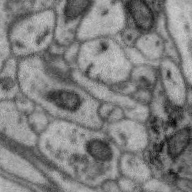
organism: Zebra finch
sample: Brain